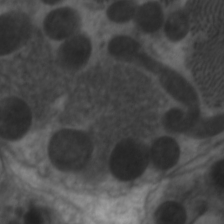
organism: C. elegans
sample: Pharynx